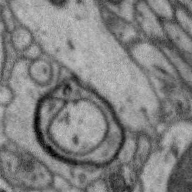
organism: Zebra finch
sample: Brain